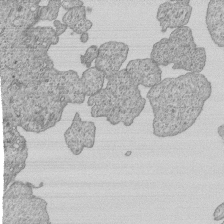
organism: Human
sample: MDA-MB-231 cells